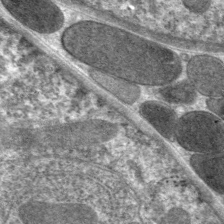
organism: C. elegans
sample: Pharynx